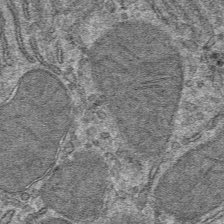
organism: Mouse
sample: Mouse hepatocytes